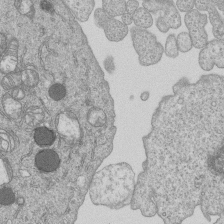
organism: Human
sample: MDA-MB-231 cells